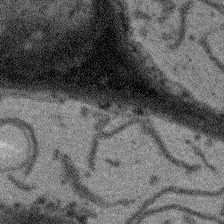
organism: Arabidopsis thaliana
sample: Root tip